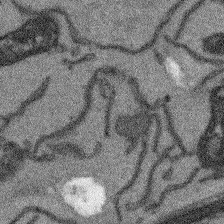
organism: Arabidopsis thaliana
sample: Root tip